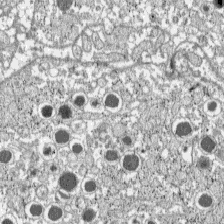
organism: C57BL Mouse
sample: Pancreatic islet